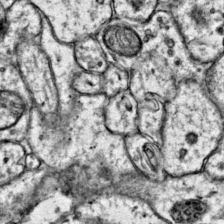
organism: Mouse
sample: Primary visual cortex